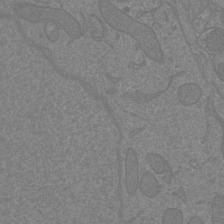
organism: Mouse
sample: Cortical neurons